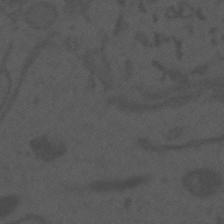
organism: Mouse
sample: Suprachiasmatic nucleus